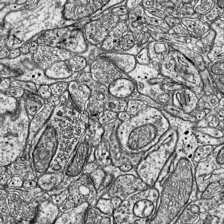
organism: Mouse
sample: Visual Cortex